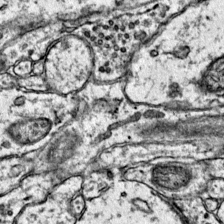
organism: Mouse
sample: Primary visual cortex